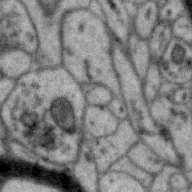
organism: Zebra finch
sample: Brain